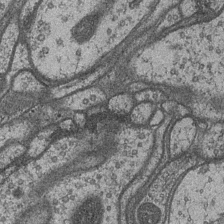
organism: Drosophila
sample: Optic medulla